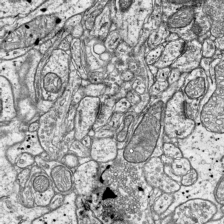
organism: Mouse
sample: Visual Cortex